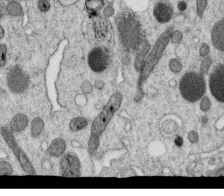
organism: C. elegans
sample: C. elegans oocyte; sperm cells